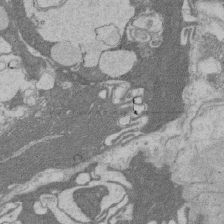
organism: Rat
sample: Salivary granule